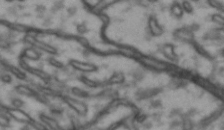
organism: Drosophila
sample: Brain